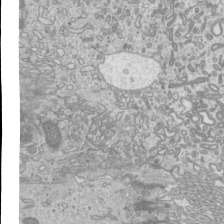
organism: Mouse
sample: Cilia; mouse epididymis